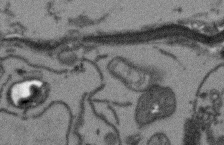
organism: Arabidopsis thaliana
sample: Root tip